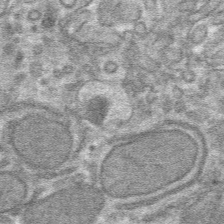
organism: Mouse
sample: Mouse hepatocytes